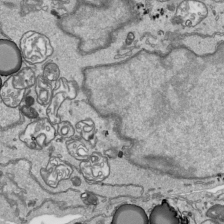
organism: Human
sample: Mitochondria in HCT116 cells